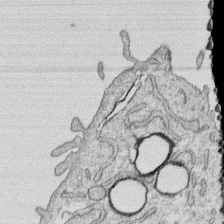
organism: Human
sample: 1205lu cells